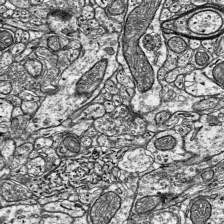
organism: Mouse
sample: Visual Cortex